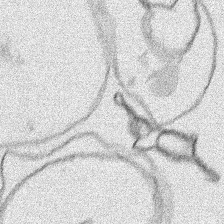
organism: Human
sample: Mitochondria in HCT116 cells